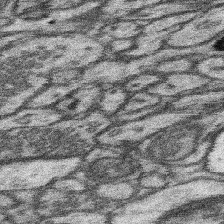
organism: Mouse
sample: Somatosensory cortex neuropil